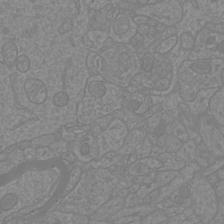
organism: Mouse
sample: Cortical neurons